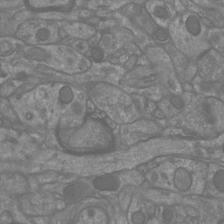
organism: Mouse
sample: Cortical neurons